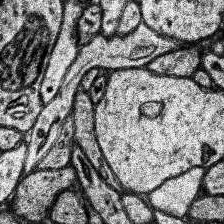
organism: Human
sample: Temporal Lobe